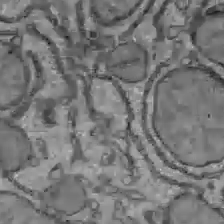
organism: C57BL Mouse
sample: Liver